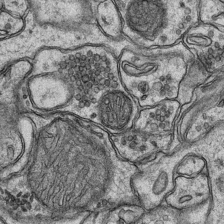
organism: Mouse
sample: CA1 Hippocampus